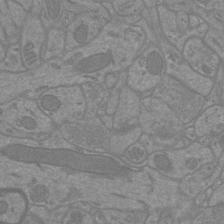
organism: Mouse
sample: Cortical neurons